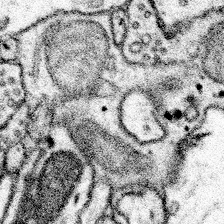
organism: Mouse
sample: Somatosensory cortex neuropil